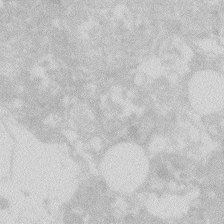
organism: Zebrafish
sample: Macrophage